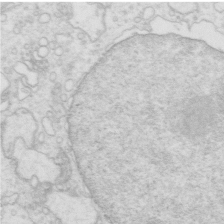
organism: Mouse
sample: Multiciliated cells